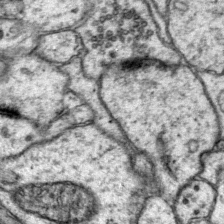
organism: Mouse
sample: Primary visual cortex